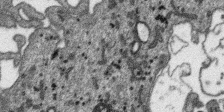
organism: Human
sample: Lung epithelial cells infected with SARS-CoV-2